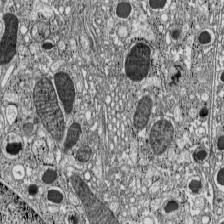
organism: C57BL Mouse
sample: Pancreatic islet